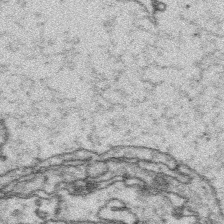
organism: Platynereis dumerilii